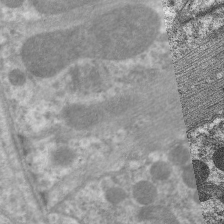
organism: C. elegans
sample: Pharynx